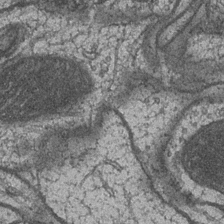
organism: Drosophila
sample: Optic medulla